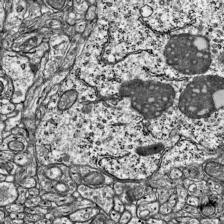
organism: Mouse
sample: Visual Cortex